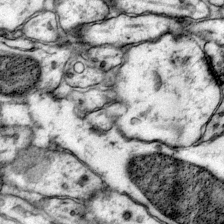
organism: Mouse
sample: Primary visual cortex